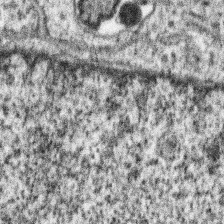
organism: Human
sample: HeLa cells